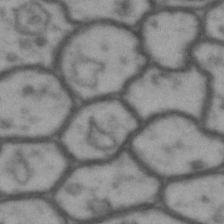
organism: Drosophila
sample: Brain